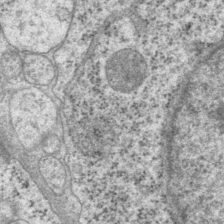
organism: P. pacificus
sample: Pharynx